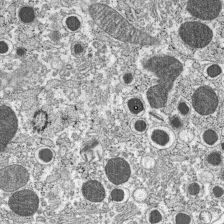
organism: C57BL Mouse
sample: Pancreatic islet